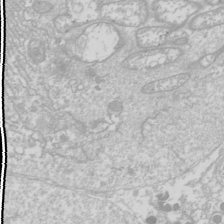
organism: Drosophila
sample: Cell division; meiosis; drosophila spermatocytes